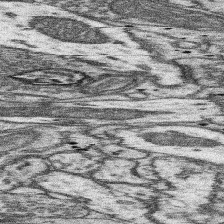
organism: Mouse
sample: Somatosensory cortex neuropil